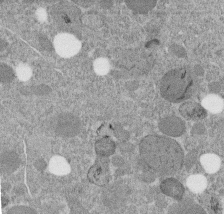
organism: C. elegans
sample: C. elegans embryo early stage